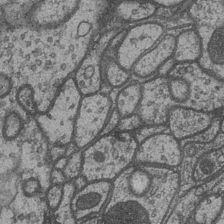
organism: Drosophila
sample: Optic medulla